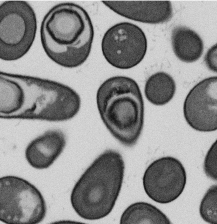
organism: B. subtilis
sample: Bacterial spore